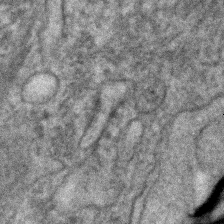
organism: Human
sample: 1205lu cells